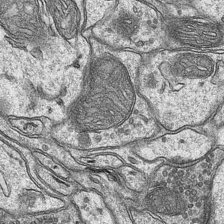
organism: Mouse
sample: CA1 Hippocampus